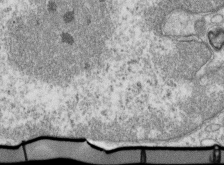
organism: Mouse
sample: Activated OT-1 CD8+ T cells